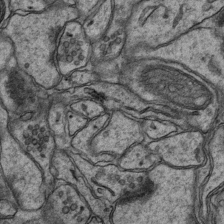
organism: Mouse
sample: CA1 Hippocampus